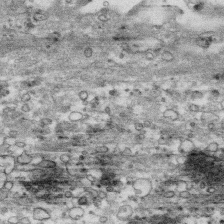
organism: Human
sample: CRL-1474